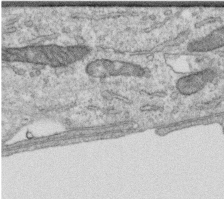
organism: Human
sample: Centriole in RPE cells